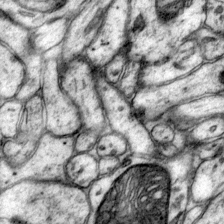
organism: Mouse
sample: Primary visual cortex